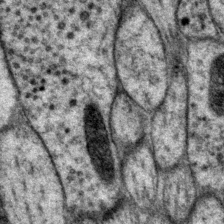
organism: P. pacificus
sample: Pharynx